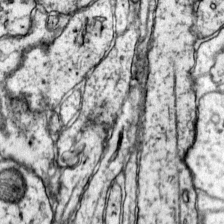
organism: Mouse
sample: Primary visual cortex